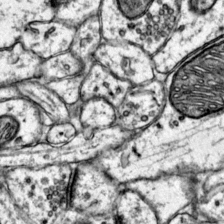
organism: Mouse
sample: Primary visual cortex